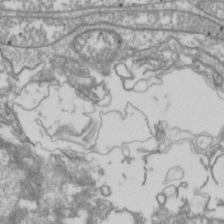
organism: Drosophila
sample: Cell division; meiosis; drosophila spermatocytes